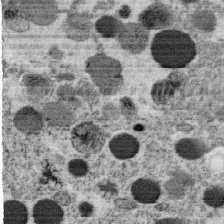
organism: C. elegans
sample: C. elegans oocyte; sperm cells